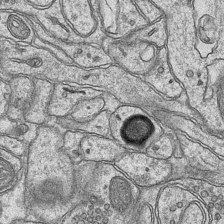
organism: Mouse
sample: CA1 Hippocampus